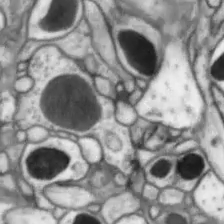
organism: Drosophila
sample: Optic lobe